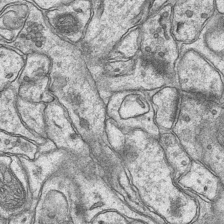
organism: Mouse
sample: CA1 Hippocampus